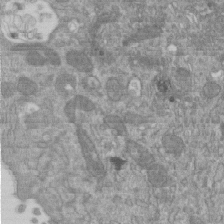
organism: Mouse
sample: ED-1 cell nuclei; centrioles